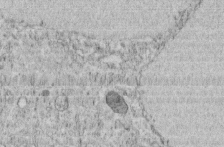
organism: C. elegans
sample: C. elegans embryo early stage